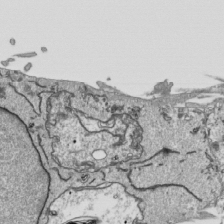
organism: Human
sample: Mitochondria in HCT116 cells